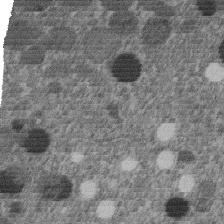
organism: C. elegans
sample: C. elegans embryo early stage